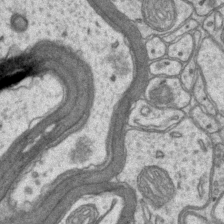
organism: Mouse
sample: CA1 Hippocampus